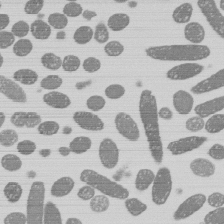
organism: E. coli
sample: Bacterial nucleoid